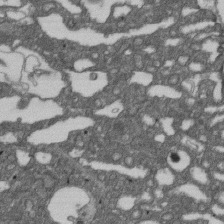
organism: Drosophila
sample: Nephrocyte